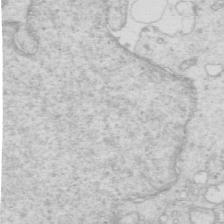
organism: Mouse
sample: Multiciliated cells